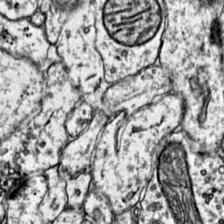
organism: Mouse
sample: Primary visual cortex